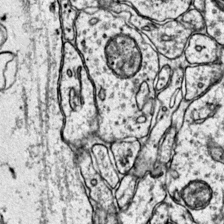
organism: Mouse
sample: Primary visual cortex